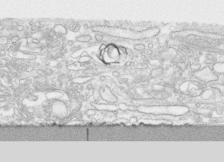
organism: Human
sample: CRL-1474